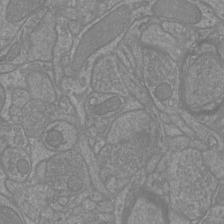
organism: Mouse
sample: Cortical neurons